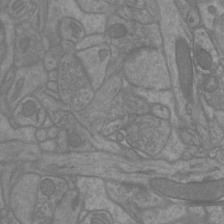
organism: Mouse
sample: Cortical neurons